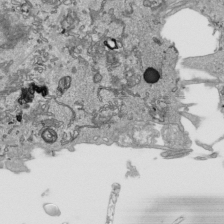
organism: Human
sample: Mitochondria in HCT116 cells